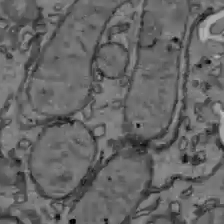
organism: C57BL Mouse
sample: Liver